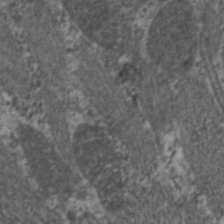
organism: C. elegans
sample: Pharynx